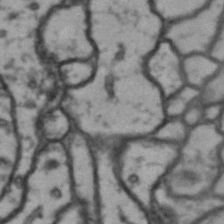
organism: Drosophila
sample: Brain